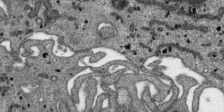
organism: Human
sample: Lung epithelial cells, uninfected (mock) control